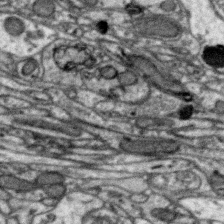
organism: Zebra finch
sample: Brain